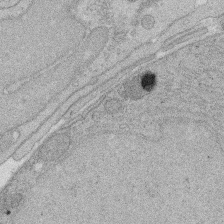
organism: Rat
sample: Salivary granule